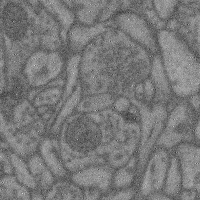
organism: Mouse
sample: Cerebral cortex